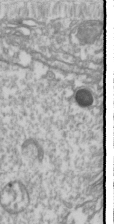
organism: Drosophila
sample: Cell division; meiosis; drosophila spermatocytes